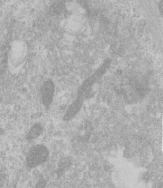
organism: Human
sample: Centriole in RPE cells